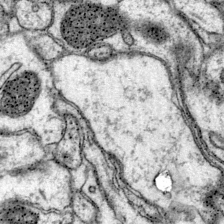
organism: Mouse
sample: Primary visual cortex